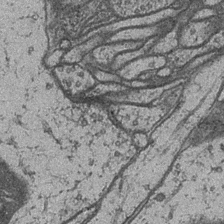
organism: Drosophila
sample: Optic medulla